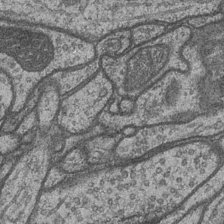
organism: Drosophila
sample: Optic medulla